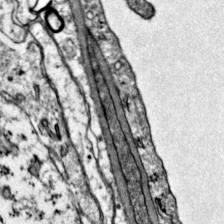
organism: Mouse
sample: Primary visual cortex